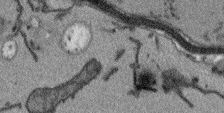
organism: Arabidopsis thaliana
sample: Root tip